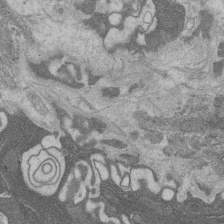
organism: Rat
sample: Salivary granule